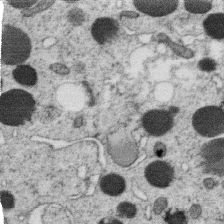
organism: C. elegans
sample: C. elegans oocyte; sperm cells